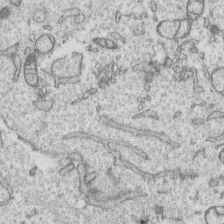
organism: Human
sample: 1205lu cells